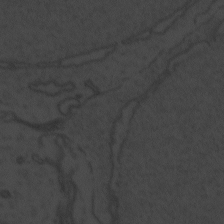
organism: Zebrafish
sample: Macrophage infected with Toxoplasma gondii